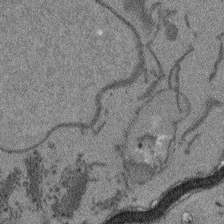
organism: Arabidopsis thaliana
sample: Root tip